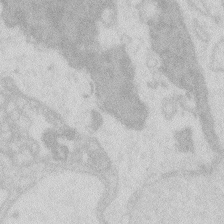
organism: Zebrafish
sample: Macrophage